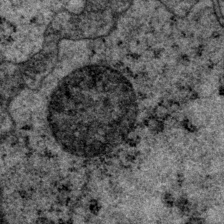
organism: P. pacificus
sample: Pharynx